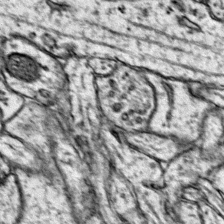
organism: Mouse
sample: Primary visual cortex